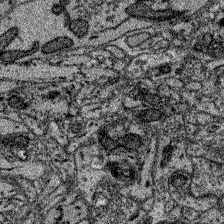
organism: Zebrafish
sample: Larval olfactory bulb